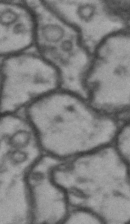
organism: Drosophila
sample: Brain